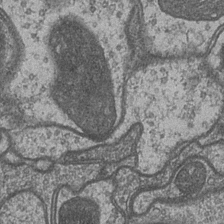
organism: Drosophila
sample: Optic medulla